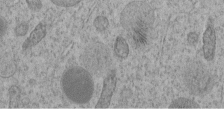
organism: C. elegans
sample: C. elegans embryo early stage